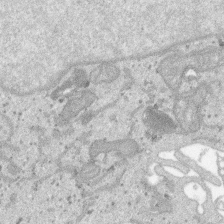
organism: Human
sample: Lung epithelial cells infected with SARS-CoV-2